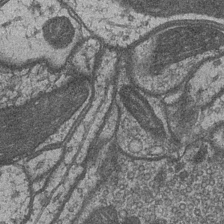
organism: Drosophila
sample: Optic medulla